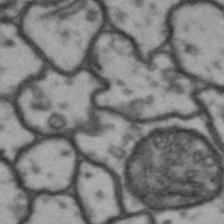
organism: Drosophila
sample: Brain